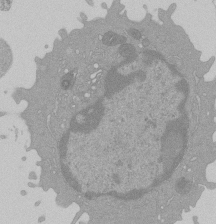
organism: Mouse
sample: Activated Pmel transgenic CD8+ T Cells